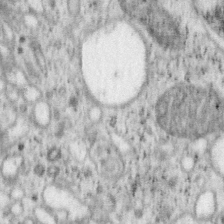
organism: Mouse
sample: OT-I killer T cells with ID8 ovarian cancer cells